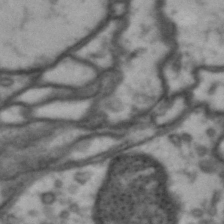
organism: Drosophila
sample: Brain